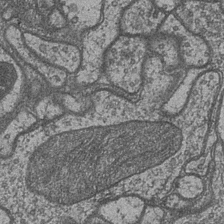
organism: Drosophila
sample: Optic medulla